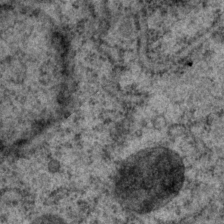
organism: P. pacificus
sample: Pharynx